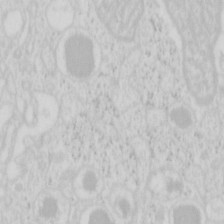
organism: Mouse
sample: Pancreas